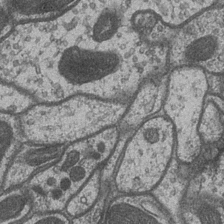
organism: Drosophila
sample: Optic medulla